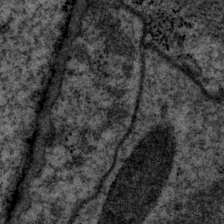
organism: P. pacificus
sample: Pharynx